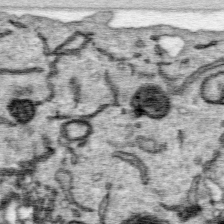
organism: Human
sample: HeLa cells